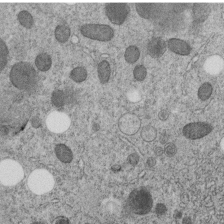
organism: C. elegans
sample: C. elegans embryo early stage